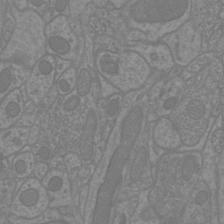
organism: Mouse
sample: Cortical neurons